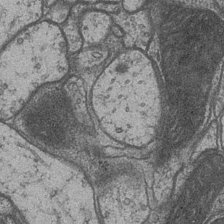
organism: Drosophila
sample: Optic medulla